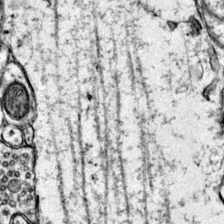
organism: Mouse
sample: Primary visual cortex